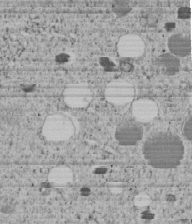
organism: C. elegans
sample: C. elegans embryo early stage